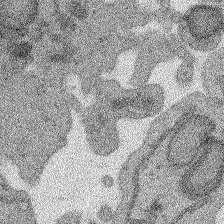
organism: Human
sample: HeLa cells